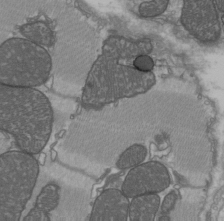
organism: C57BL Mouse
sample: Heart